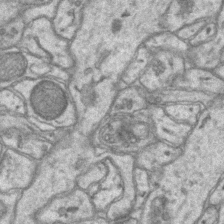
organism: Mouse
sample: CA1 Hippocampus